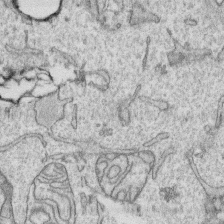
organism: Human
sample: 1205lu cells